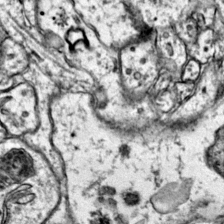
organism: Mouse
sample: Primary visual cortex